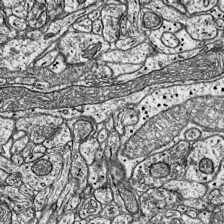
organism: Mouse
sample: Visual Cortex